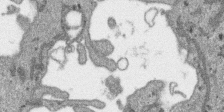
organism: Human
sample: Lung epithelial cells infected with SARS-CoV-2